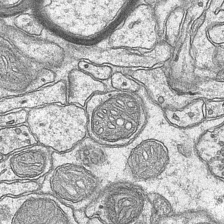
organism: Mouse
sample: CA1 Hippocampus